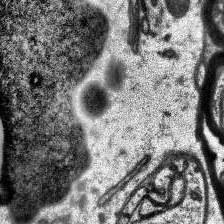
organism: Human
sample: Temporal Lobe